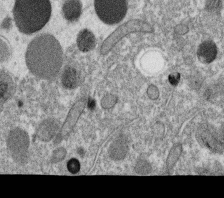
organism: C. elegans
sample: C. elegans oocyte; sperm cells